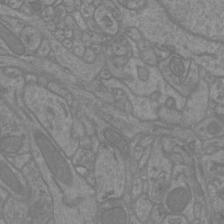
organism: Mouse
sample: Cortical neurons